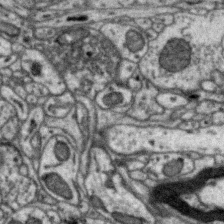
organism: Zebra finch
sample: Brain